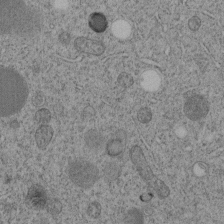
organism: C. elegans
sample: C. elegans embryo early stage